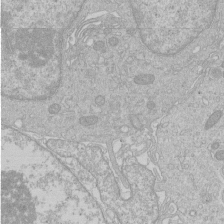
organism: Human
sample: Macrophage cells